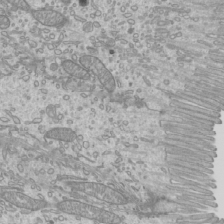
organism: Mouse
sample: Cilia; mouse epididymis